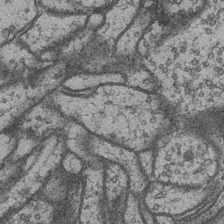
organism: Drosophila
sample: Optic medulla